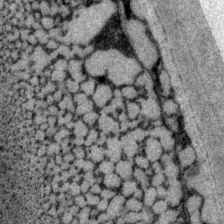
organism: P. pacificus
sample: Pharynx